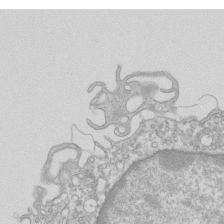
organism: Mouse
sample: Macrophages